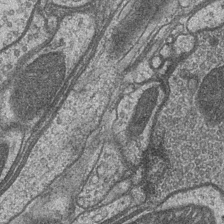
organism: Drosophila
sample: Optic medulla